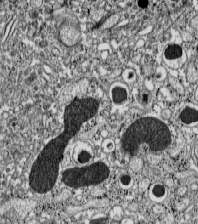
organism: C57BL Mouse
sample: Pancreatic islet